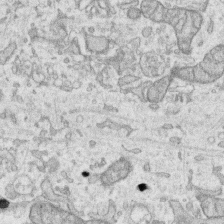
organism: Human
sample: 1205lu cells